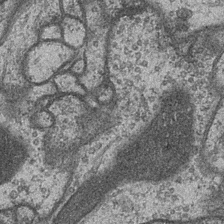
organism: Drosophila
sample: Optic medulla